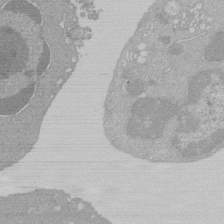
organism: Mouse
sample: Activated Pmel transgenic CD8+ T Cells